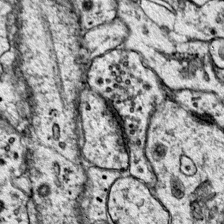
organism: Mouse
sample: Primary visual cortex